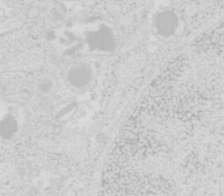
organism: Mouse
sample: Pancreas